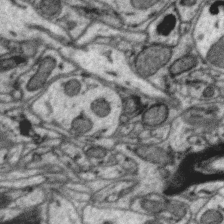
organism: Zebra finch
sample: Brain